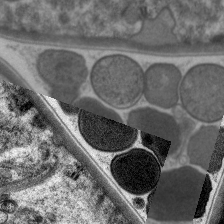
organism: C. elegans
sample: Pharynx